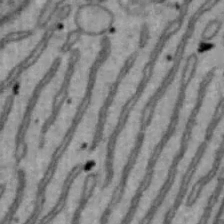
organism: Mouse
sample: Liver